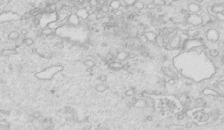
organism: Mouse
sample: Multiciliated cells